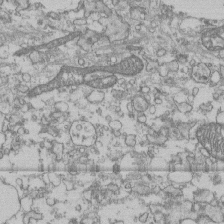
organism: Human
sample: Fibroblast cells